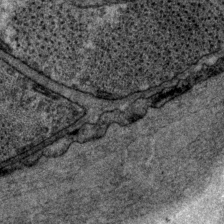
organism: P. pacificus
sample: Pharynx